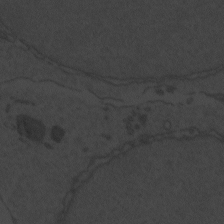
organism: Zebrafish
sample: Macrophage infected with Toxoplasma gondii